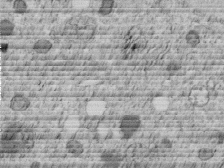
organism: C. elegans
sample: C. elegans embryo early stage